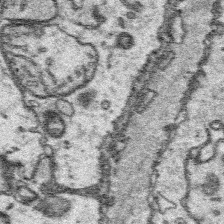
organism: Platynereis dumerilii